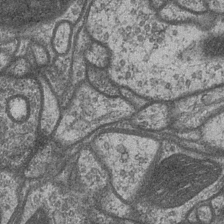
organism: Drosophila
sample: Optic medulla